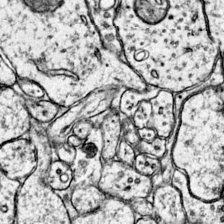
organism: Mouse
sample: Primary visual cortex